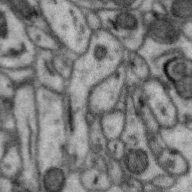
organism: Zebra finch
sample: Brain